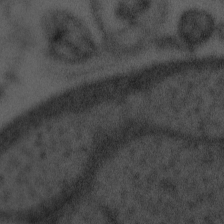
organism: Tuwongella immobilis